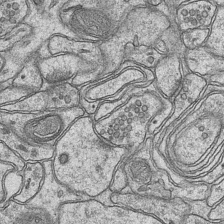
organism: Mouse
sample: CA1 Hippocampus